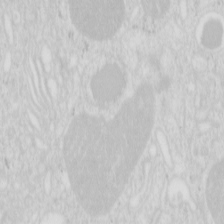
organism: Mouse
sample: Pancreas